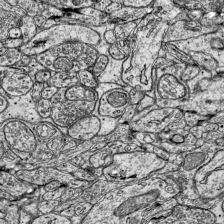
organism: Mouse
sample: Visual Cortex